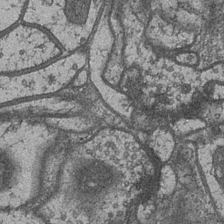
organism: Drosophila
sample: Optic medulla